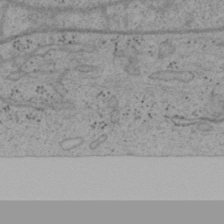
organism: Human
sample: HeLa cells